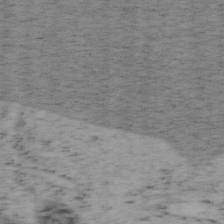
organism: Mouse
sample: OT-I killer T cells with ID8 ovarian cancer cells